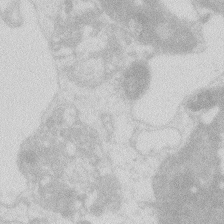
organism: Zebrafish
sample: Macrophage